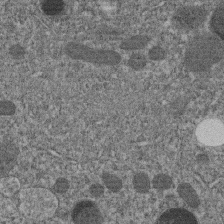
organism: C. elegans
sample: C. elegans embryo early stage